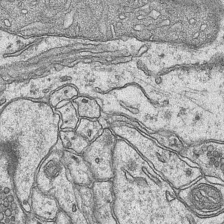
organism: Mouse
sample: CA1 Hippocampus